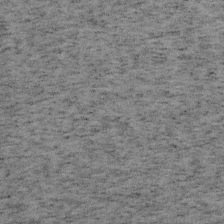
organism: Mouse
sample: OT-I killer T cells with ID8 ovarian cancer cells